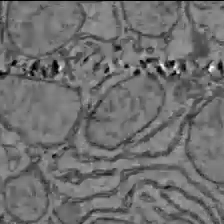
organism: C57BL Mouse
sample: Liver